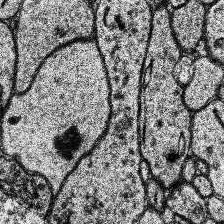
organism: Human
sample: Temporal Lobe